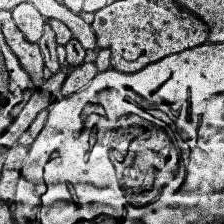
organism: Human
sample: Temporal Lobe